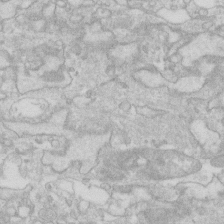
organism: Human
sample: Fibroblast cells